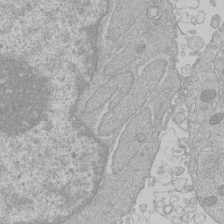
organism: Human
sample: Macrophage cells